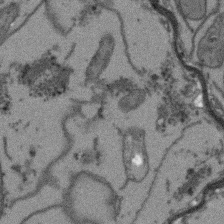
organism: Arabidopsis thaliana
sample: Root tip